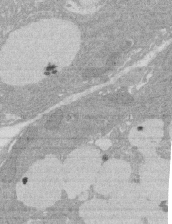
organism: Rat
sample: Salivary granule